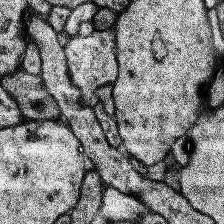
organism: Human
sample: Temporal Lobe